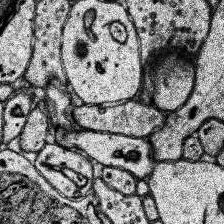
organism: Human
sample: Temporal Lobe